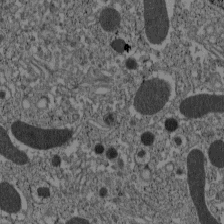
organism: C57BL Mouse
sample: Pancreatic islet